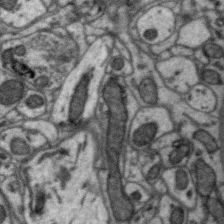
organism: Zebra finch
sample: Brain